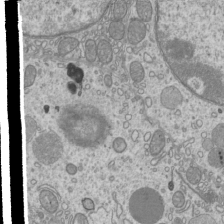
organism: Mouse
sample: Cilia; mouse epididymis